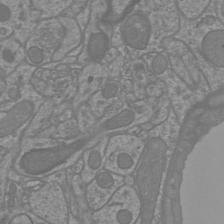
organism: Mouse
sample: Cortical neurons